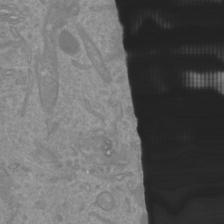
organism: Mouse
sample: Cortical neurons